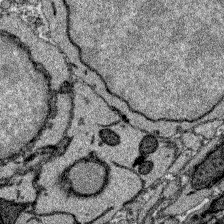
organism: Zebrafish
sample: Larval olfactory bulb